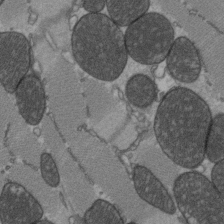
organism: C57BL Mouse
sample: Heart